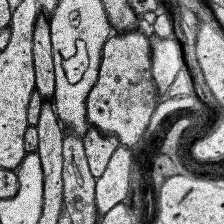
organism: Human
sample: Temporal Lobe